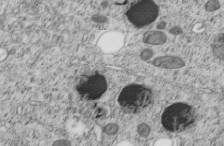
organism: C. elegans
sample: C. elegans embryo early stage